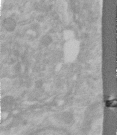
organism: Human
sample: Centriole in RPE cells